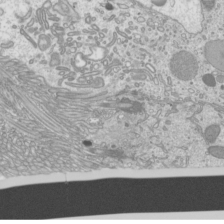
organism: Mouse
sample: Cilia; mouse epididymis